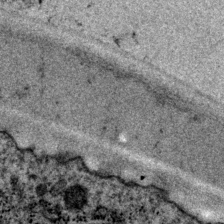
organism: P. pacificus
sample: Pharynx